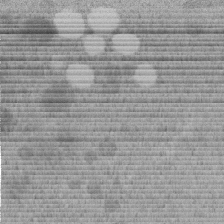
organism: C. elegans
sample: C. elegans embryo early stage